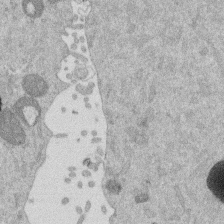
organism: Mouse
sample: Dividing mouse embryo 1 cell stage